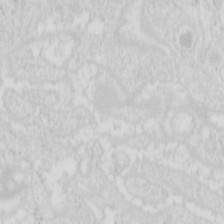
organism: Mouse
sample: Pancreas